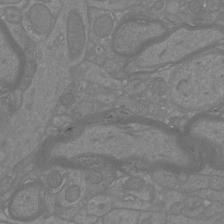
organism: Mouse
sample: Cortical neurons